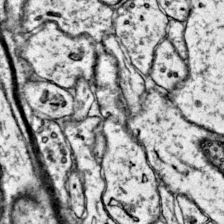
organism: Mouse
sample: Primary visual cortex